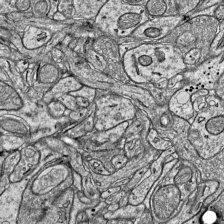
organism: Mouse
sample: Visual Cortex